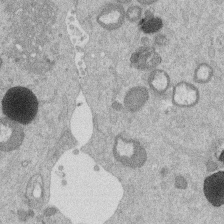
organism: Mouse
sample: Dividing mouse embryo 1 cell stage